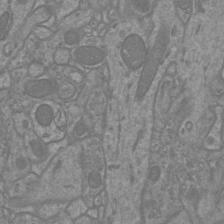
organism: Mouse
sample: Cortical neurons